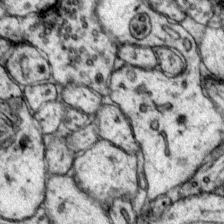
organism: Mouse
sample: Primary visual cortex